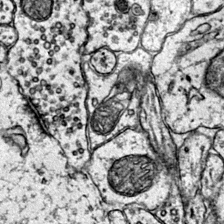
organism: Mouse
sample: Primary visual cortex